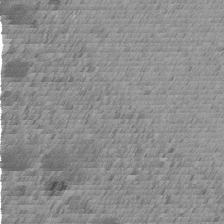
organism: C. elegans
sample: C. elegans embryo early stage